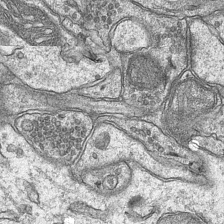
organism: Mouse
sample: CA1 Hippocampus